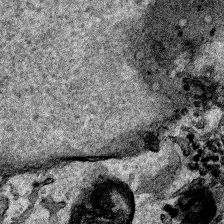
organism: Human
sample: Mitochondria in HCT116 cells